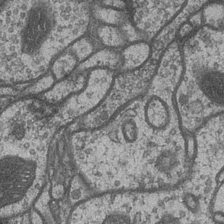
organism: Drosophila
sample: Optic medulla